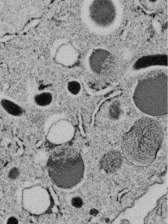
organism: C. elegans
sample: C. elegans embryo early stage